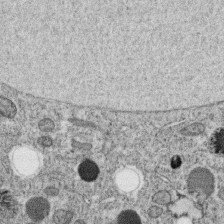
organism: C. elegans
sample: C. elegans oocyte; sperm cells